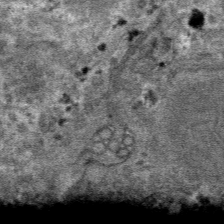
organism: Mouse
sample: Mouse hepatocytes